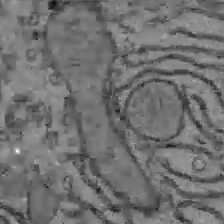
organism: C57BL Mouse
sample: Liver